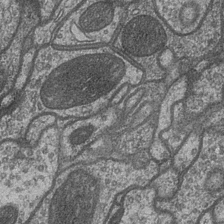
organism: Drosophila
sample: Optic medulla